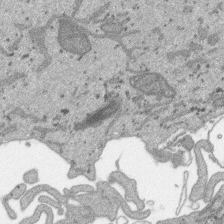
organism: Human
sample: Lung epithelial cells infected with SARS-CoV-2